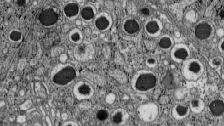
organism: C57BL Mouse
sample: Pancreatic islet